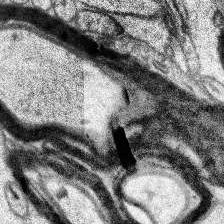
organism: Human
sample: Temporal Lobe